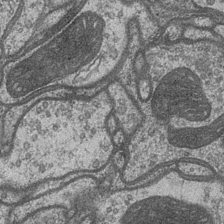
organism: Drosophila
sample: Optic medulla